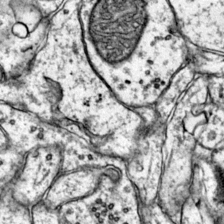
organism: Mouse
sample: Primary visual cortex